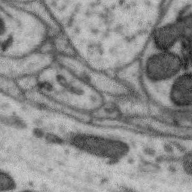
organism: Zebra finch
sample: Brain